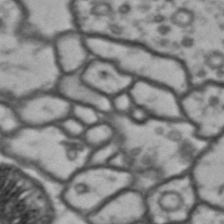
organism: Drosophila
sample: Brain